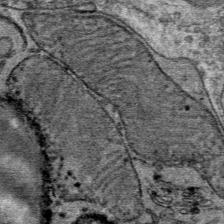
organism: Mouse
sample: Mouse Salivary gland